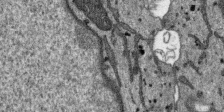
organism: Human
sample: Lung epithelial cells, uninfected (mock) control